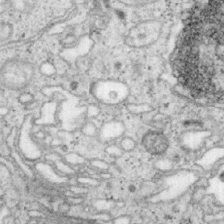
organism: Mouse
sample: OT-I killer T cells with ID8 ovarian cancer cells